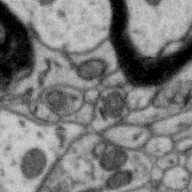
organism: Zebra finch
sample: Brain